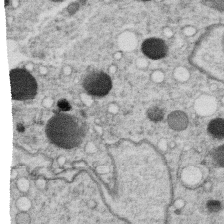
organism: C. elegans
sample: C. elegans oocyte; sperm cells